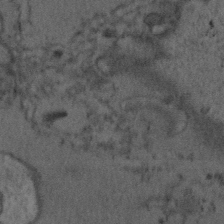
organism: Human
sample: HeLa cells